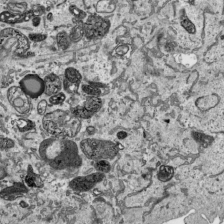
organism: Human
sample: Mitochondria in HCT116 cells